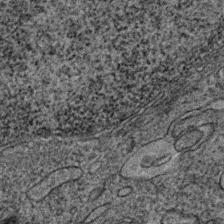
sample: Trachea